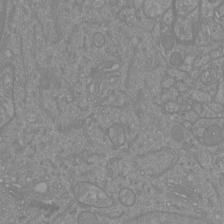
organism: Mouse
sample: Cortical neurons